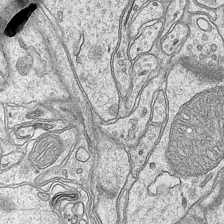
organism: Mouse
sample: CA1 Hippocampus